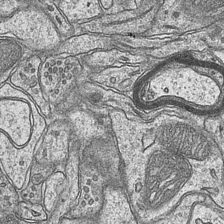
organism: Mouse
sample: CA1 Hippocampus